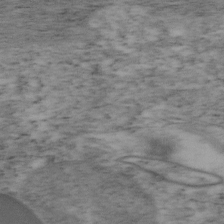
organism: Mouse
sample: OT-I killer T cells with ID8 ovarian cancer cells